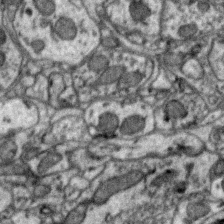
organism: Zebra finch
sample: Brain